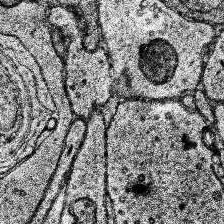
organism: Human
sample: Temporal Lobe